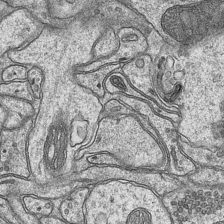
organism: Mouse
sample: CA1 Hippocampus